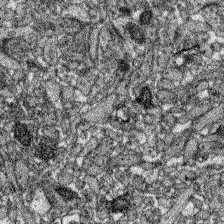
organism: Zebrafish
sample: Larval olfactory bulb